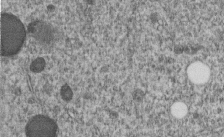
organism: C. elegans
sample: C. elegans embryo early stage